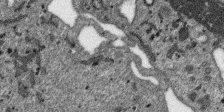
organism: Human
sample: Lung epithelial cells infected with SARS-CoV-2